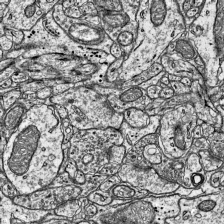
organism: Mouse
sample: Visual Cortex